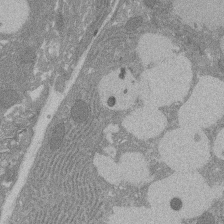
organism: Rat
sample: Salivary granule